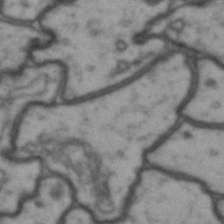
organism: Drosophila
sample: Brain